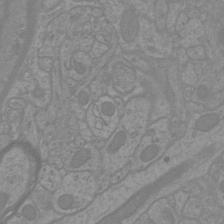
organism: Mouse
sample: Cortical neurons